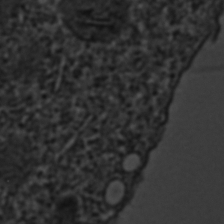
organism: C. elegans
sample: C. elegans embryo